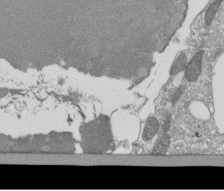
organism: Tetrahymena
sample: Cilia in tetrahymena